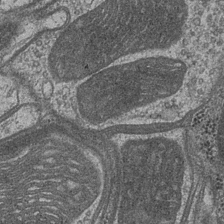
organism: Drosophila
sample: Optic medulla